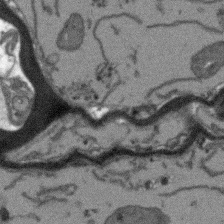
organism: Arabidopsis thaliana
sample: Root tip